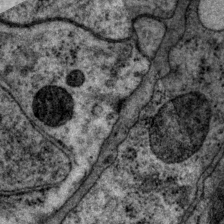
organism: P. pacificus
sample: Pharynx